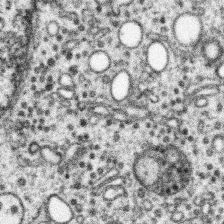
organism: Human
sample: HeLa cells